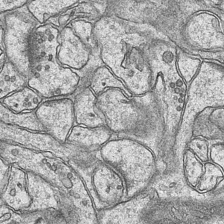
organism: Mouse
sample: CA1 Hippocampus